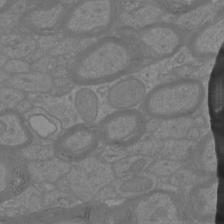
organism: Mouse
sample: Cortical neurons